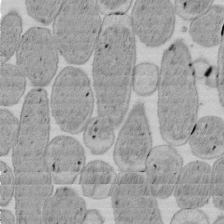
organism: E. coli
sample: Bacterial nucleoid